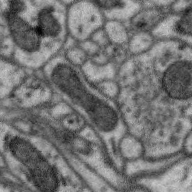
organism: Zebra finch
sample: Brain